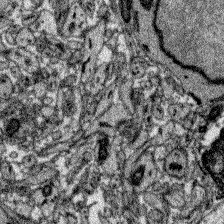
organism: Zebrafish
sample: Larval olfactory bulb